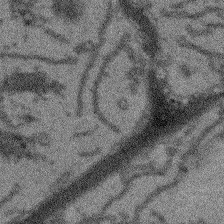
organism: Arabidopsis thaliana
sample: Root tip